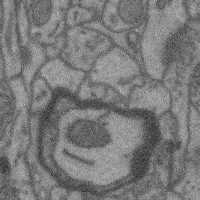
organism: Mouse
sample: Cerebral cortex